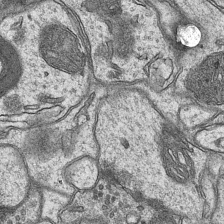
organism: Mouse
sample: CA1 Hippocampus